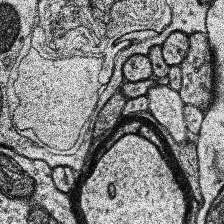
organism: Human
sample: Temporal Lobe